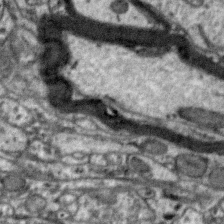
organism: Zebra finch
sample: Brain